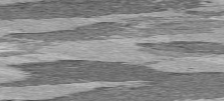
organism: C57BL Mouse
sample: Heart